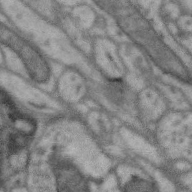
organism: Zebra finch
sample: Brain